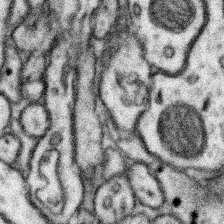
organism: Mouse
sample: Somatosensory cortex neuropil